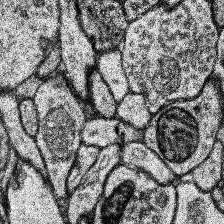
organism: Human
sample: Temporal Lobe